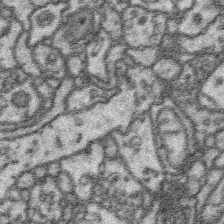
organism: Platynereis dumerilii